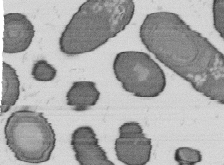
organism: B. subtilis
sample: Bacterial spore